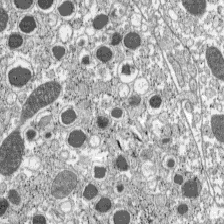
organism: C57BL Mouse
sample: Pancreatic islet